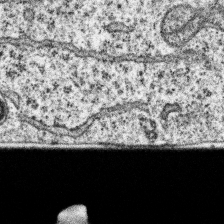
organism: Human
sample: HeLa cells